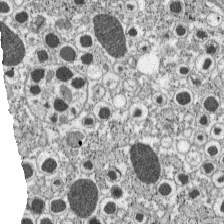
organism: C57BL Mouse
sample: Pancreatic islet